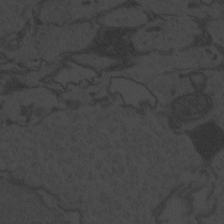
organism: Zebrafish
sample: Macrophage infected with Toxoplasma gondii